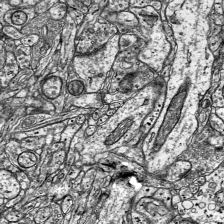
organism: Mouse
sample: Visual Cortex